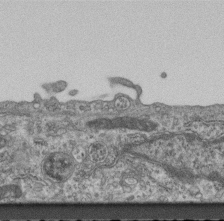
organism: Mouse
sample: Centriole in ependymal cells